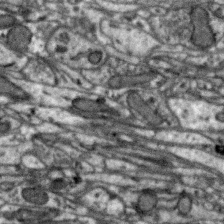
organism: Zebra finch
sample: Brain